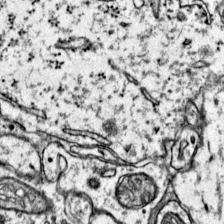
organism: Mouse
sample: Primary visual cortex